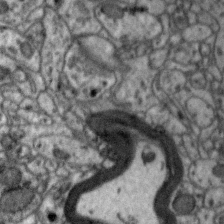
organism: Zebra finch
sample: Brain